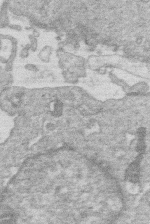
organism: Human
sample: Macrophage cells